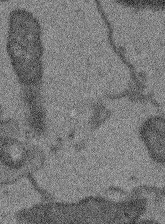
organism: Arabidopsis thaliana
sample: Root tip